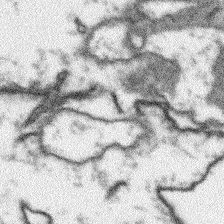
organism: Arabidopsis thaliana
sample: Root tip